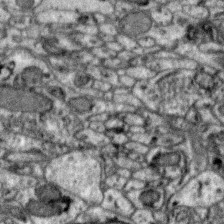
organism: Zebra finch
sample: Brain